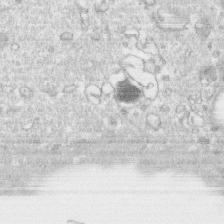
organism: Human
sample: CRL-1474